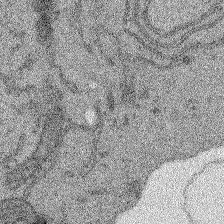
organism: Human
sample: HeLa cells